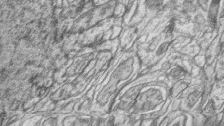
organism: Zebrafish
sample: synaptic ribbons in rod cells and cone cells